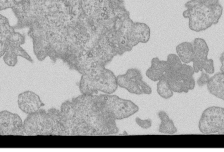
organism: Human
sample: MDA-MB-231 cells